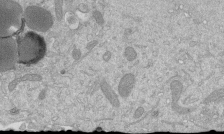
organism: Mouse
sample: ED-1 cell nuclei; centrioles